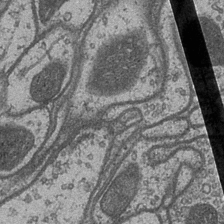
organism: Drosophila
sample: Optic medulla